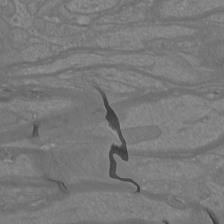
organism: Mouse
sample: Cortical neurons